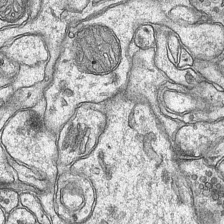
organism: Mouse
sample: CA1 Hippocampus